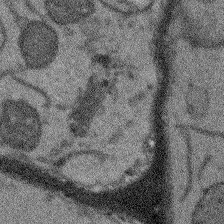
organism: Arabidopsis thaliana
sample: Root tip